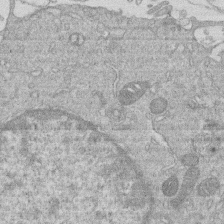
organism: Human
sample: Macrophage cells